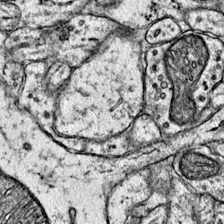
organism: Mouse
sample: Primary visual cortex